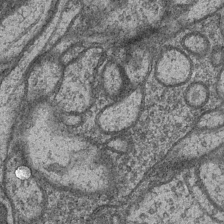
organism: Drosophila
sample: Optic medulla